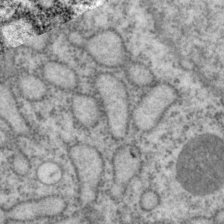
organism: P. pacificus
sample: Pharynx